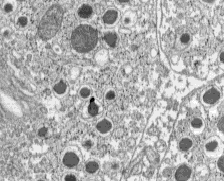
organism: C57BL Mouse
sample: Pancreatic islet